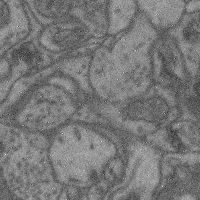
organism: Mouse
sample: Cerebral cortex